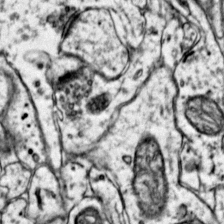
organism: Mouse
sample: Primary visual cortex